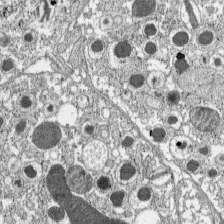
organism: C57BL Mouse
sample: Pancreatic islet